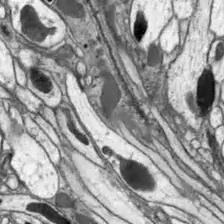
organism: Drosophila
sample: Optic lobe